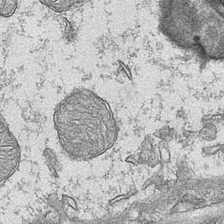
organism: Mouse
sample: CA1 Hippocampus